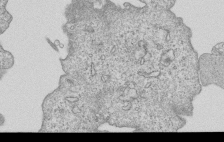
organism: Human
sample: MDA-MB-231 cells